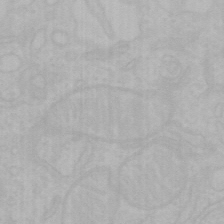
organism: Mouse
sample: Choroid plexus